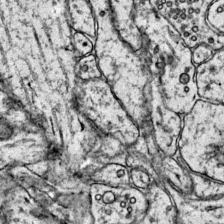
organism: Mouse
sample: Primary visual cortex